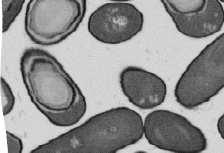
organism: B. subtilis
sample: Bacterial spore